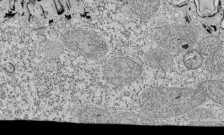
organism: Tetrahymena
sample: Cilia in tetrahymena